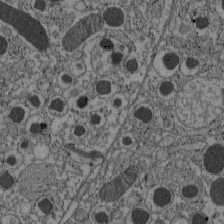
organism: C57BL Mouse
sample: Pancreatic islet